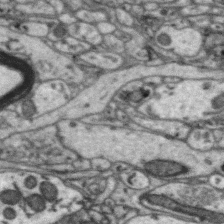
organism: Zebra finch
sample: Brain